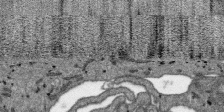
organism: Human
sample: Lung epithelial cells, uninfected (mock) control